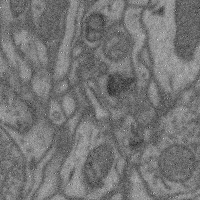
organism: Mouse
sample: Cerebral cortex